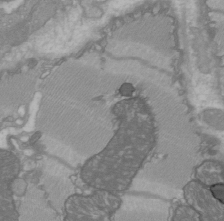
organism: C57BL Mouse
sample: Heart